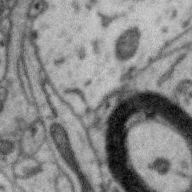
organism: Zebra finch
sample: Brain